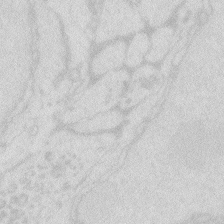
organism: Zebrafish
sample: Macrophage